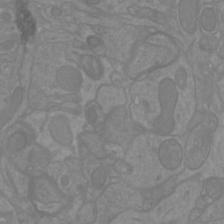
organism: Mouse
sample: Cortical neurons